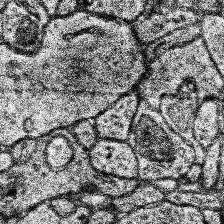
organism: Human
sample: Temporal Lobe